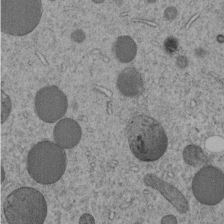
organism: C. elegans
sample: C. elegans embryo early stage